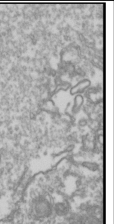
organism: Drosophila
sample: Cell division; meiosis; drosophila spermatocytes